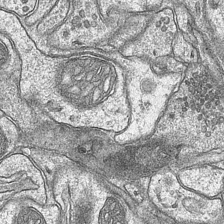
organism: Mouse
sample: CA1 Hippocampus